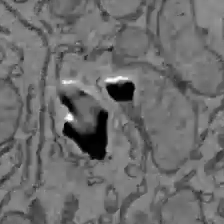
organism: C57BL Mouse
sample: Liver